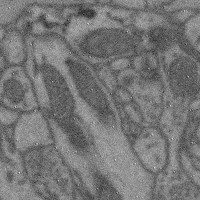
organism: Mouse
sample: Cerebral cortex